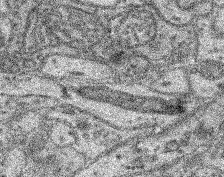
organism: Mouse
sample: Retina